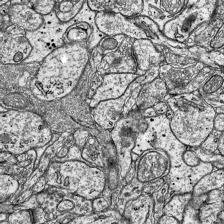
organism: Mouse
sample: Visual Cortex